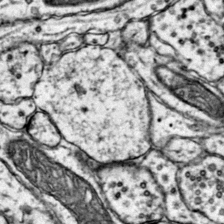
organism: Mouse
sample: Primary visual cortex